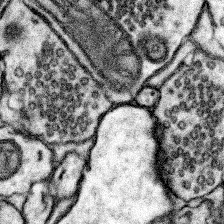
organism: Mouse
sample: Somatosensory cortex neuropil